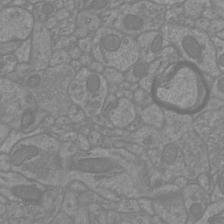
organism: Mouse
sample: Cortical neurons